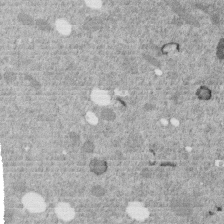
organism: C. elegans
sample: C. elegans embryo early stage